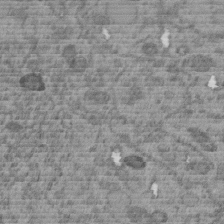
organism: C. elegans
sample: C. elegans embryo early stage